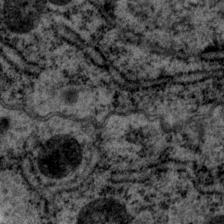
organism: P. pacificus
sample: Pharynx